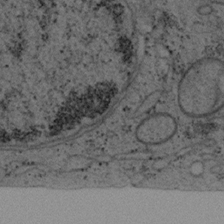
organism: Human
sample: HeLa cells